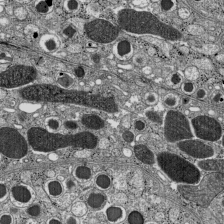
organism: C57BL Mouse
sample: Pancreatic islet